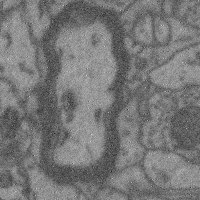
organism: Mouse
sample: Cerebral cortex